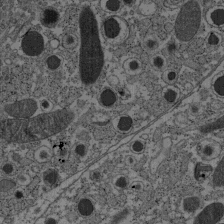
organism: C57BL Mouse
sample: Pancreatic islet